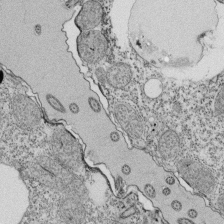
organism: Tetrahymena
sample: Cilia in tetrahymena